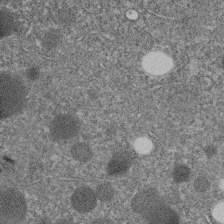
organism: C. elegans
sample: C. elegans embryo early stage